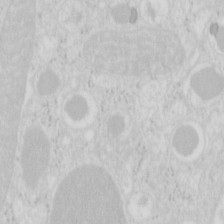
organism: Mouse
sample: Pancreas